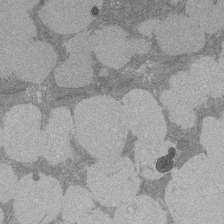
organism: Rat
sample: Salivary granule